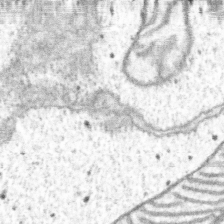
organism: Human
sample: HeLa cells